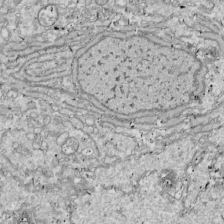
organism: Drosophila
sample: Cell division; meiosis; drosophila spermatocytes